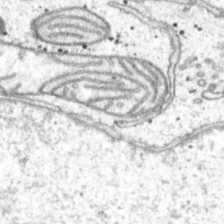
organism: Human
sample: HeLa cells